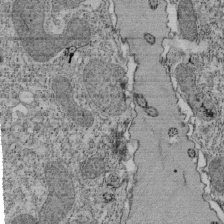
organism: Tetrahymena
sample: Cilia in tetrahymena